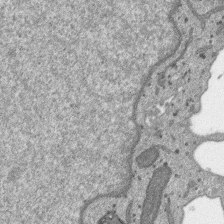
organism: Human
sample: Lung epithelial cells infected with SARS-CoV-2